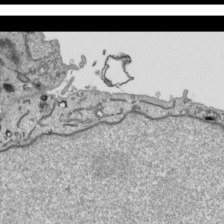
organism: Human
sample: Mitochondria in HCT116 cells